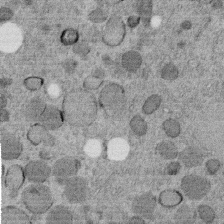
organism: C. elegans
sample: C. elegans embryo early stage